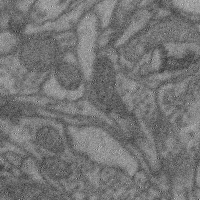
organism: Mouse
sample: Cerebral cortex